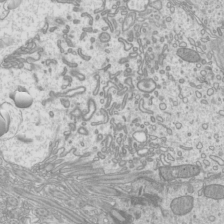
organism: Mouse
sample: Cilia; mouse epididymis